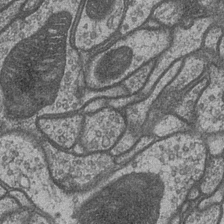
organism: Drosophila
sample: Optic medulla